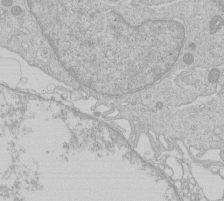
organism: Human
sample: Macrophage cells